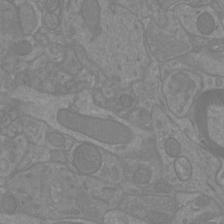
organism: Mouse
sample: Cortical neurons